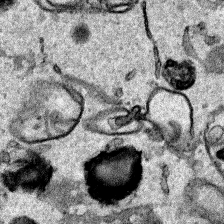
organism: Human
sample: Mitochondria in HCT116 cells